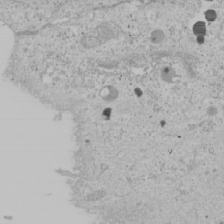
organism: Human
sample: Mitochondria in U2OS cells